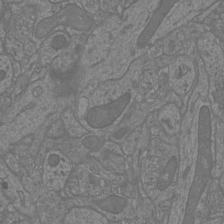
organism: Mouse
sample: Cortical neurons